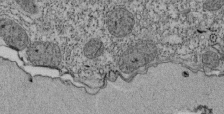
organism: Tetrahymena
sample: Cilia in tetrahymena